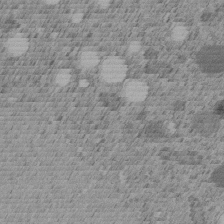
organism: C. elegans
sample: C. elegans embryo early stage